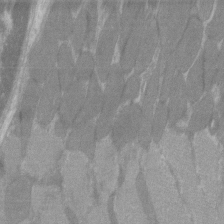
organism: C57BL Mouse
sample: Tibialis anterior muscle cell